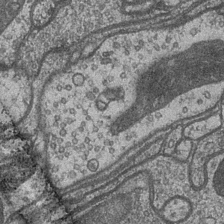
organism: Drosophila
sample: Optic medulla